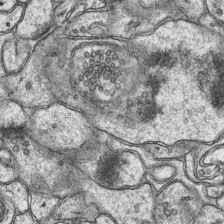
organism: Mouse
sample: CA1 Hippocampus